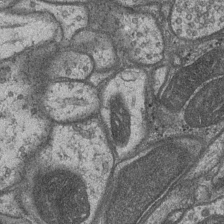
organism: Drosophila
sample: Optic medulla